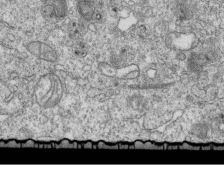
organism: Human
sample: HeLa cell HIV synapse